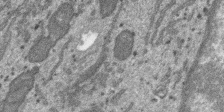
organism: Human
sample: Lung epithelial cells infected with SARS-CoV-2